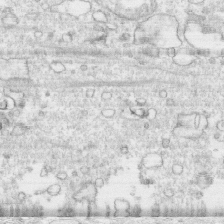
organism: Human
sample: CRL-1474